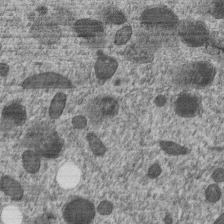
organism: C. elegans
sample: C. elegans embryo early stage